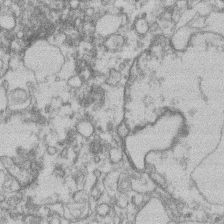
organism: Mouse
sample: T cell stromal cell synapse